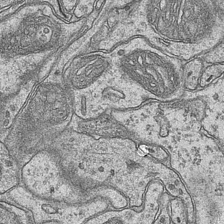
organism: Mouse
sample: CA1 Hippocampus